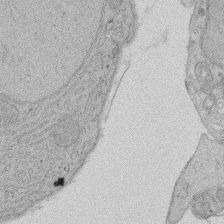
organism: Rat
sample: Salivary granule